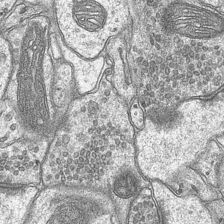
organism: Mouse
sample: CA1 Hippocampus